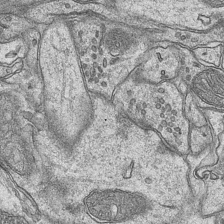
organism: Mouse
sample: CA1 Hippocampus